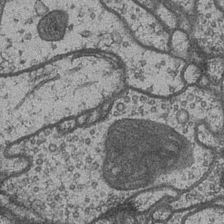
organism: Drosophila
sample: Optic medulla